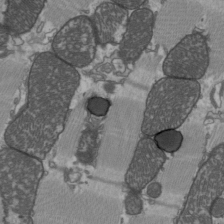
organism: C57BL Mouse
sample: Heart